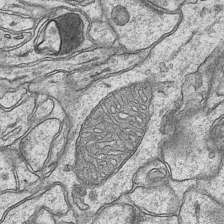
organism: Mouse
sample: CA1 Hippocampus